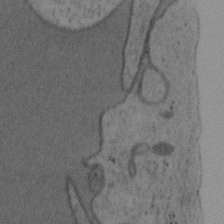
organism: Human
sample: HeLa cells